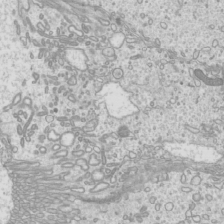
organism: Mouse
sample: Cilia; mouse epididymis